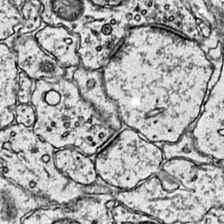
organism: Mouse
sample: Primary visual cortex